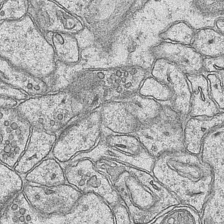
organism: Mouse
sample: CA1 Hippocampus